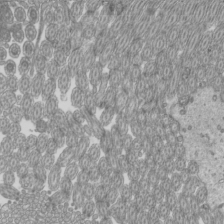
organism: Mouse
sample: Cilia; mouse epididymis